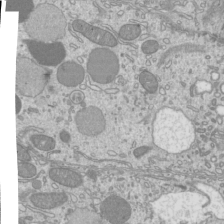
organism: Mouse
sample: Cilia; mouse epididymis